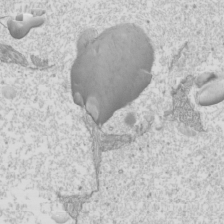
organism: Mouse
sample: Cilia; mouse epididymis